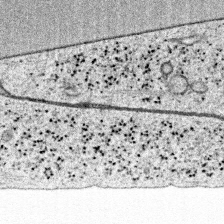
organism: Human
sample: HeLa cells